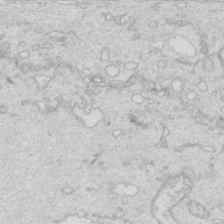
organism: Mouse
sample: Multiciliated cells